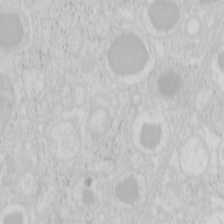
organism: Mouse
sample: Pancreas